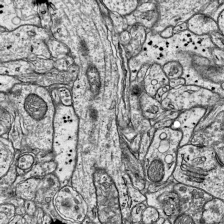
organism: Mouse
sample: Visual Cortex